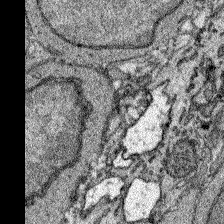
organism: Zebrafish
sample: Larval olfactory bulb